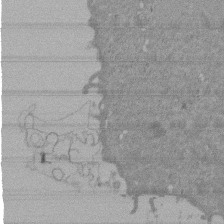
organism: Mouse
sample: ED-1 cell nuclei; centrioles